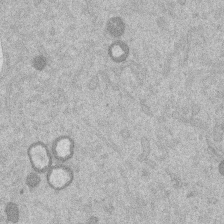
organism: Mouse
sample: Dividing mouse embryo 1 cell stage